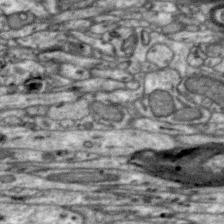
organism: Zebra finch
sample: Brain